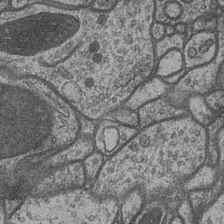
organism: Drosophila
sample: Optic medulla